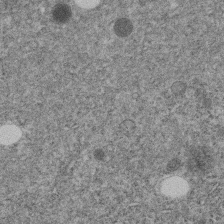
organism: C. elegans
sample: C. elegans embryo early stage